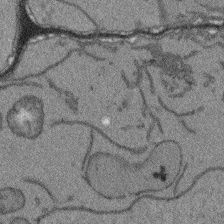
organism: Arabidopsis thaliana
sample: Root tip